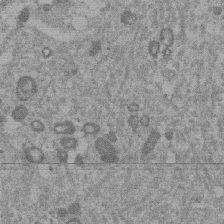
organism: Mouse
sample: Dividing mouse embryo 1 cell stage